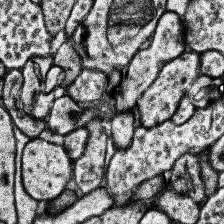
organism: Human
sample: Temporal Lobe